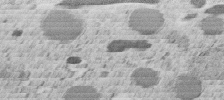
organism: C. elegans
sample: C. elegans embryo early stage